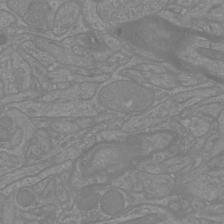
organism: Mouse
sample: Cortical neurons